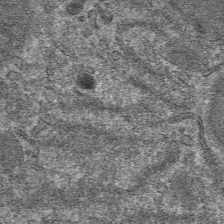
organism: Mouse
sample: Mouse hepatocytes